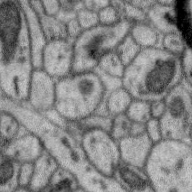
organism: Zebra finch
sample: Brain